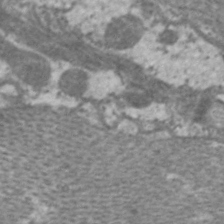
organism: C. elegans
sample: Pharynx